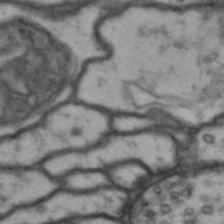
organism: Drosophila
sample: Brain